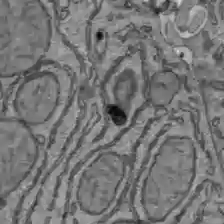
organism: C57BL Mouse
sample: Liver